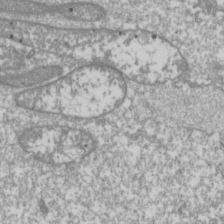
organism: Drosophila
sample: Cell division; meiosis; drosophila spermatocytes